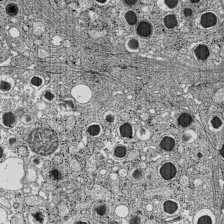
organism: C57BL Mouse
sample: Pancreatic islet